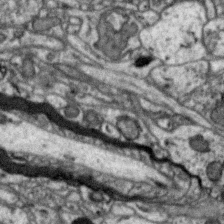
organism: Zebra finch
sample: Brain